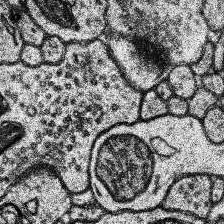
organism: Human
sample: Temporal Lobe